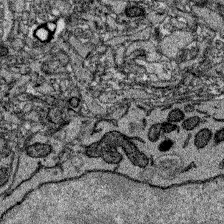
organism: Zebrafish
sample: Larval olfactory bulb